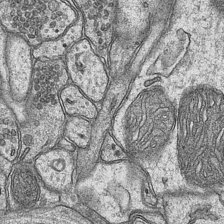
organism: Mouse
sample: CA1 Hippocampus